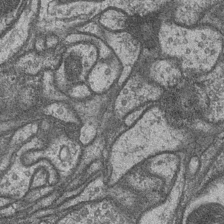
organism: Drosophila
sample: Optic medulla